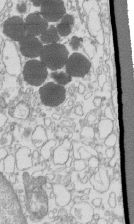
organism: Mouse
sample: Macrophages